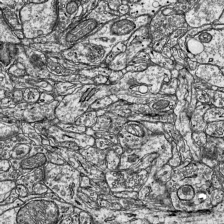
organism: Mouse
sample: Visual Cortex